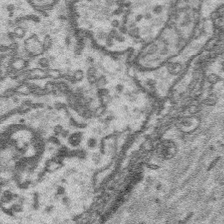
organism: Platynereis dumerilii